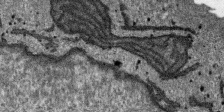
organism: Human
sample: Lung epithelial cells, uninfected (mock) control